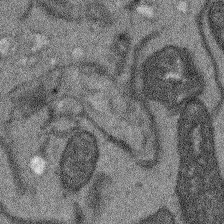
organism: Arabidopsis thaliana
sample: Root tip